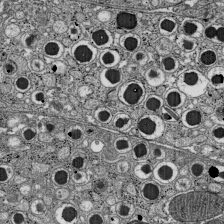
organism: C57BL Mouse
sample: Pancreatic islet